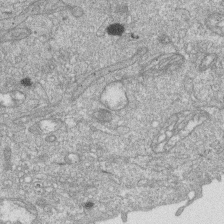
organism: Human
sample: HeLa cell HIV synapse